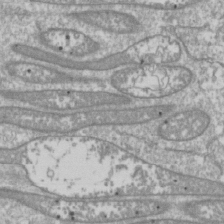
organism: Drosophila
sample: Cell division; meiosis; drosophila spermatocytes